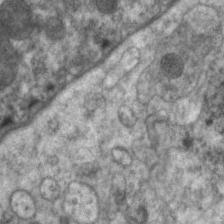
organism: C. elegans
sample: Pharynx